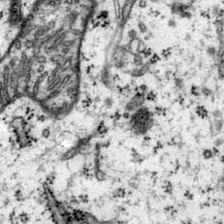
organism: Mouse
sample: Primary visual cortex